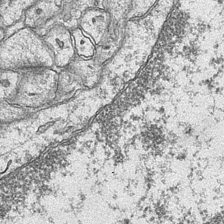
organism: Mouse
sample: CA1 Hippocampus